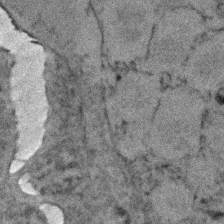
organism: Zebrafish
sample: Zebrafish embryo